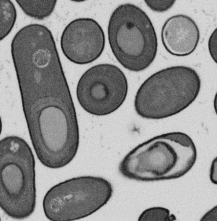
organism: B. subtilis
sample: Bacterial spore